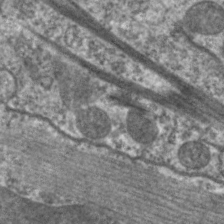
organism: C. elegans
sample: Pharynx